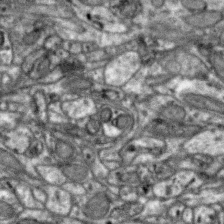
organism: Zebra finch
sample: Brain